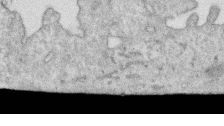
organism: Human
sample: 1205lu cells